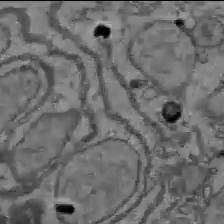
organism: C57BL Mouse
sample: Liver